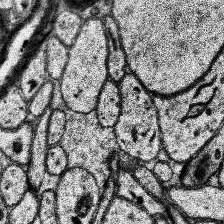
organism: Human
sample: Temporal Lobe